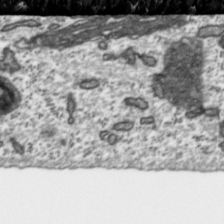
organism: Toxoplasma gondii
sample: Parasites in a vacuole inside a host cell